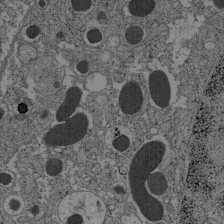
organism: C57BL Mouse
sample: Pancreatic islet